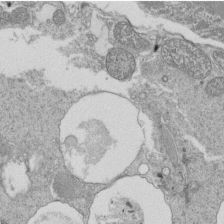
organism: Tetrahymena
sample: Cilia in tetrahymena